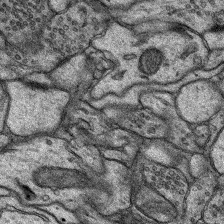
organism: Rat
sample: Hippocampus